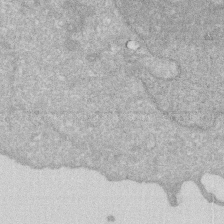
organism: Human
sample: HIV infected U937 cells